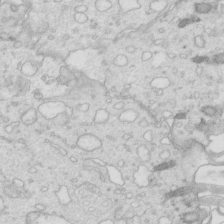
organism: Mouse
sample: Multiciliated cells